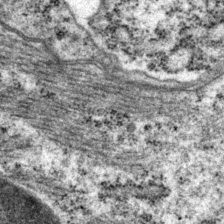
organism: P. pacificus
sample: Pharynx